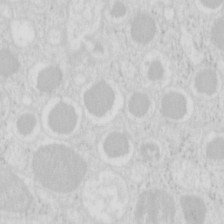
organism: Mouse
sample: Pancreas